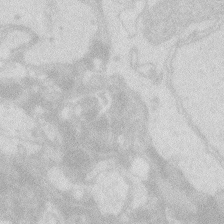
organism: Zebrafish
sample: Macrophage